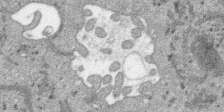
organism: Human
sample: Lung epithelial cells infected with SARS-CoV-2